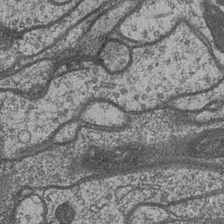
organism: Drosophila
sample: Optic medulla